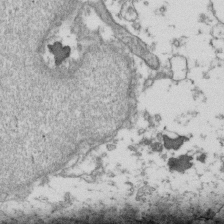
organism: Human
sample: Activated Jurkat CD4+ T cells